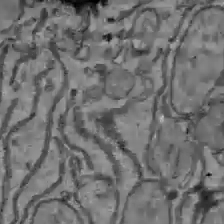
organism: C57BL Mouse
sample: Liver